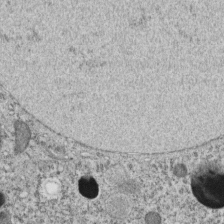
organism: C. elegans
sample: C. elegans embryo early stage